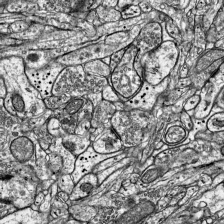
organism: Mouse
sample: Visual Cortex